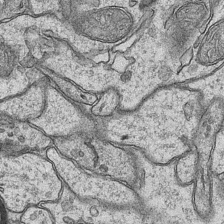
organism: Mouse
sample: CA1 Hippocampus